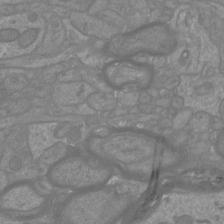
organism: Mouse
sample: Cortical neurons